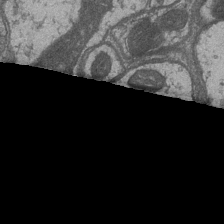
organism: Drosophila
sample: Optic medulla